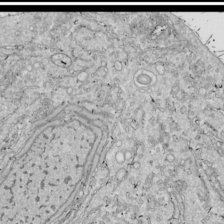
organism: Drosophila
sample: Cell division; meiosis; drosophila spermatocytes